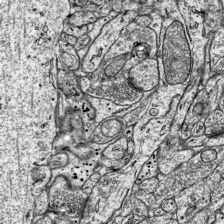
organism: Mouse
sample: Visual Cortex